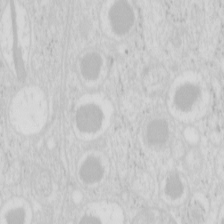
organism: Mouse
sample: Pancreas